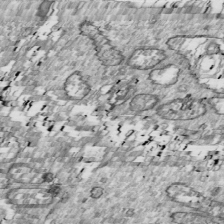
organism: Drosophila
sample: Cell division; meiosis; drosophila spermatocytes